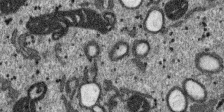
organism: Human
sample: Lung epithelial cells infected with SARS-CoV-2